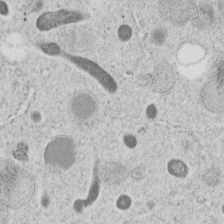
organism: C. elegans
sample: C. elegans embryo early stage